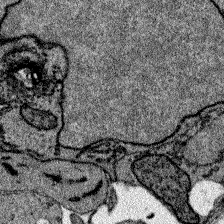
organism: Zebrafish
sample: Larval olfactory bulb